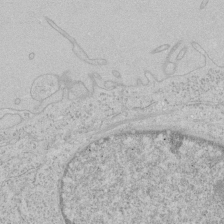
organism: Human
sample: Mitochondria in HCT116 cells